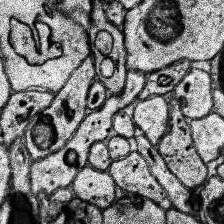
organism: Human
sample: Temporal Lobe